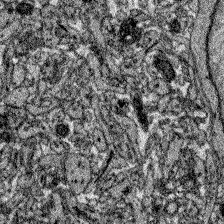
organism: Zebrafish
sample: Larval olfactory bulb